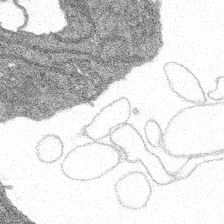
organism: Spongilla lacustris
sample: Multiple